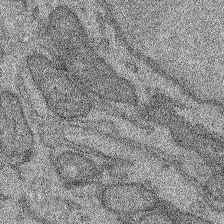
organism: Human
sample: HeLa cells